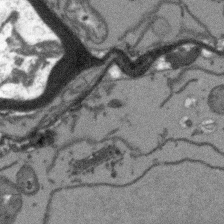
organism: Arabidopsis thaliana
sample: Root tip